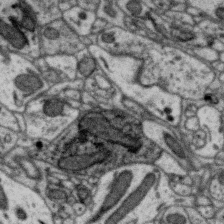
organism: Zebra finch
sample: Brain